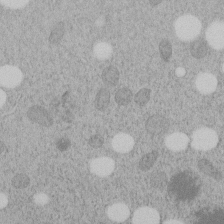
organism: C. elegans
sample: C. elegans embryo early stage